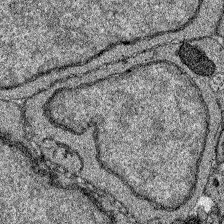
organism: Zebrafish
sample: Larval olfactory bulb